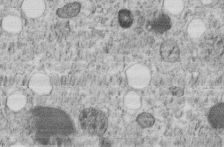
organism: C. elegans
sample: C. elegans embryo early stage